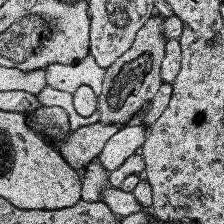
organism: Human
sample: Temporal Lobe